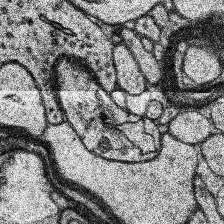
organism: Human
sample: Temporal Lobe